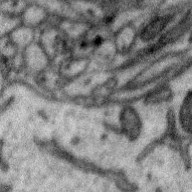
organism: Zebra finch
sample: Brain